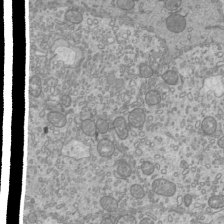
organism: Mouse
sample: Cilia; mouse epididymis